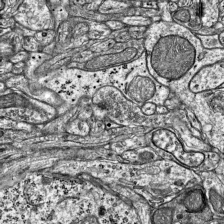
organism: Mouse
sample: Visual Cortex